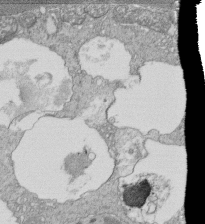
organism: Tetrahymena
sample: Cilia in tetrahymena